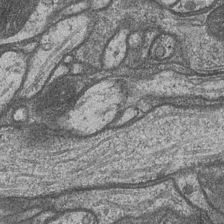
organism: Drosophila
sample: Optic medulla